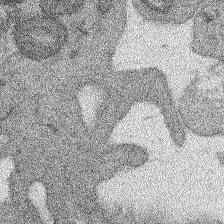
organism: Human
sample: HeLa cells